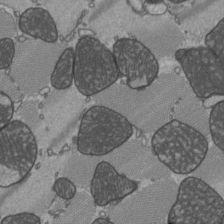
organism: C57BL Mouse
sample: Heart